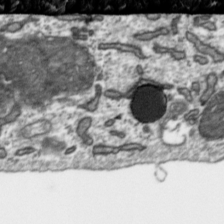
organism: Toxoplasma gondii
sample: Parasites in a vacuole inside a host cell